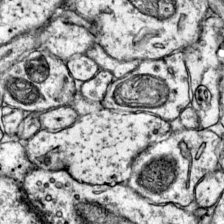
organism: Mouse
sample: Primary visual cortex